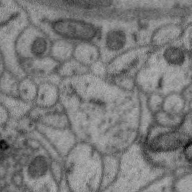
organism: Zebra finch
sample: Brain